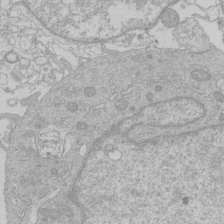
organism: Human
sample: Macrophage cells